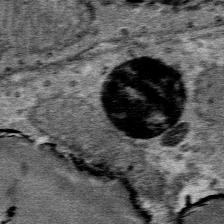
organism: Mouse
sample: Mouse Salivary gland